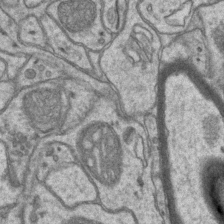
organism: Mouse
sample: CA1 Hippocampus